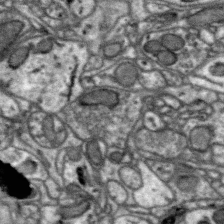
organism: Zebra finch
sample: Brain